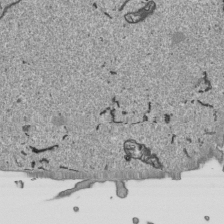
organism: Human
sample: Mitochondria in HCT116 cells